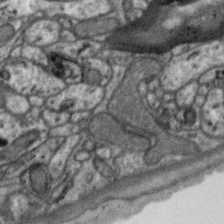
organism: Zebra finch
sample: Brain